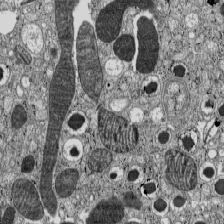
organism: C57BL Mouse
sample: Pancreatic islet